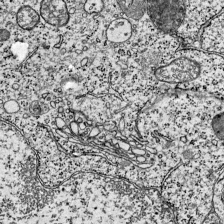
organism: Mouse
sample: Visual Cortex